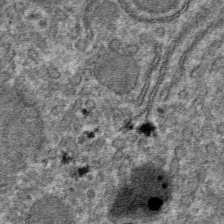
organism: Mouse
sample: Mouse hepatocytes